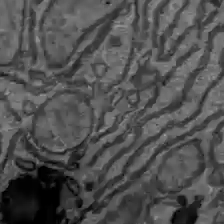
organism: C57BL Mouse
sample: Liver